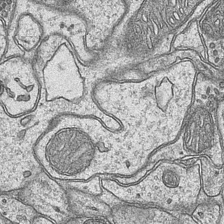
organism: Mouse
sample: CA1 Hippocampus